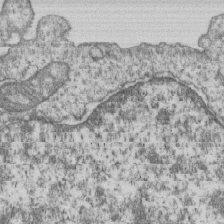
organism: Human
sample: MDA-MB-231 cells